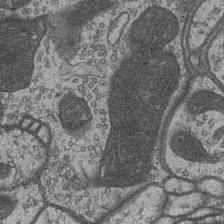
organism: Drosophila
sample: Optic medulla